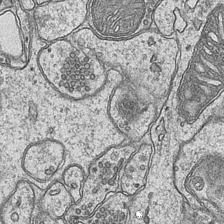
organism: Mouse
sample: CA1 Hippocampus